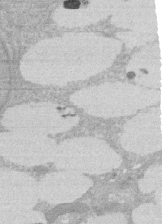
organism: Rat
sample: Salivary granule